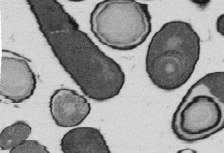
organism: B. subtilis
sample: Bacterial spore